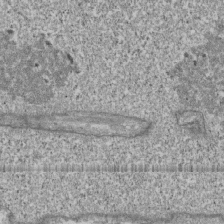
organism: Human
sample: Fibroblast cells